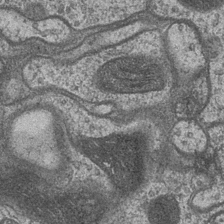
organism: Drosophila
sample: Optic medulla